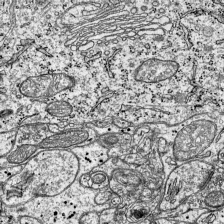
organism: Mouse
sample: Visual Cortex